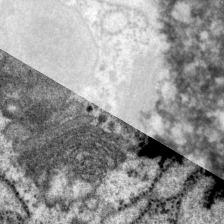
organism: P. pacificus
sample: Pharynx